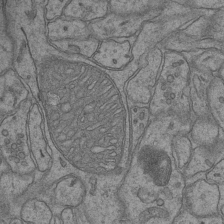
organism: Mouse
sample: CA1 Hippocampus